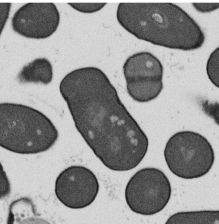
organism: B. subtilis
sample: Bacterial spore